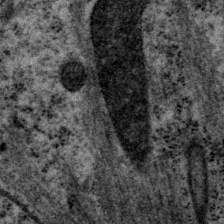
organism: P. pacificus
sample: Pharynx